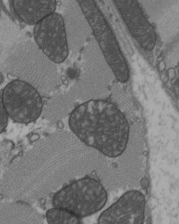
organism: C57BL Mouse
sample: Heart